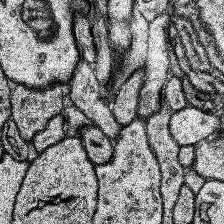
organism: Human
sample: Temporal Lobe